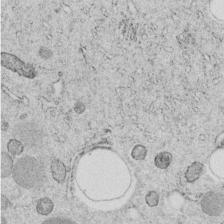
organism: C. elegans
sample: C. elegans embryo early stage